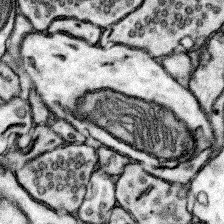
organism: Mouse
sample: Somatosensory cortex neuropil